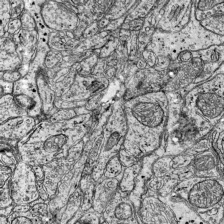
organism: Mouse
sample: Visual Cortex